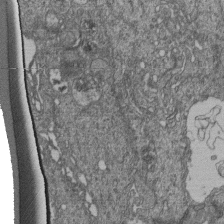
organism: Human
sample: Retinal organoid Rod and Cone cells